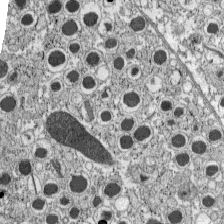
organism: C57BL Mouse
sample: Pancreatic islet